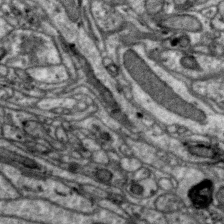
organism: Zebra finch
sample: Brain